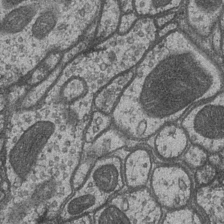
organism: Drosophila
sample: Optic medulla